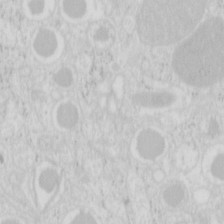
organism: Mouse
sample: Pancreas